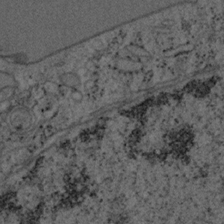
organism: Human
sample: HeLa cells